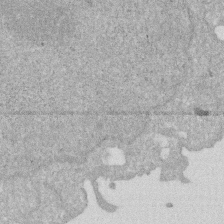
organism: Human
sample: HIV infected U937 cells